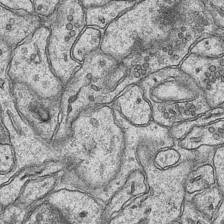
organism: Mouse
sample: CA1 Hippocampus